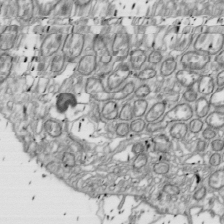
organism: Drosophila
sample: Cell division; meiosis; drosophila spermatocytes